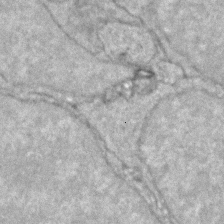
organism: Zebrafish